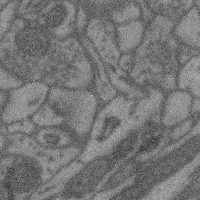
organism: Mouse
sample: Cerebral cortex